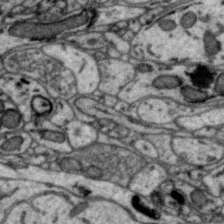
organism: Zebra finch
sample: Brain